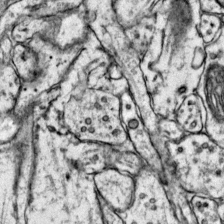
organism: Mouse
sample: Primary visual cortex